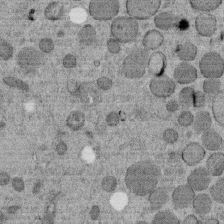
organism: C. elegans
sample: C. elegans embryo early stage